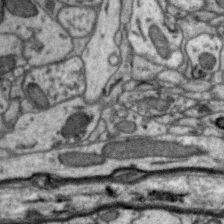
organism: Zebra finch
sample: Brain